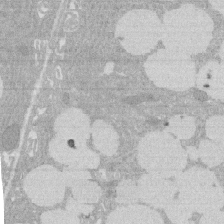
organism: Rat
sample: Salivary granule